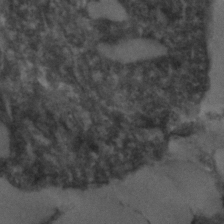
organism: C. elegans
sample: C. elegans embryo